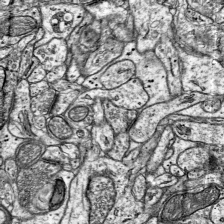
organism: Mouse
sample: Visual Cortex